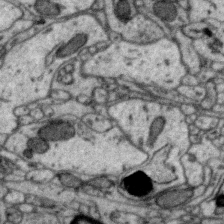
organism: Zebra finch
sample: Brain